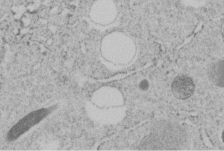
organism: C. elegans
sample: C. elegans embryo early stage